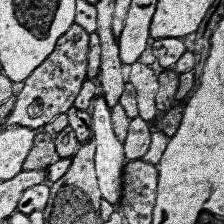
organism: Human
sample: Temporal Lobe